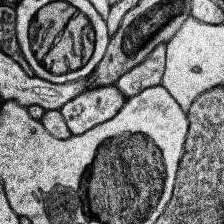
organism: Human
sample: Temporal Lobe